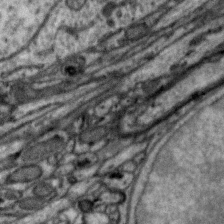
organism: Zebra finch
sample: Brain